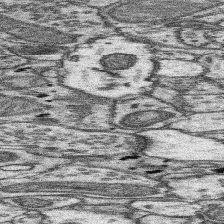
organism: Mouse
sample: Somatosensory cortex neuropil